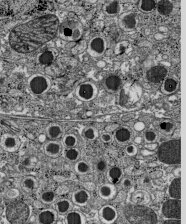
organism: C57BL Mouse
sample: Pancreatic islet